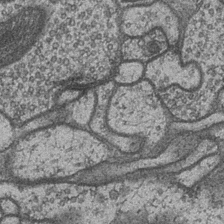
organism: Drosophila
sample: Optic medulla